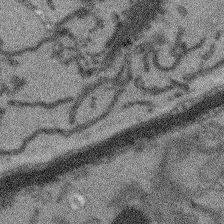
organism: Arabidopsis thaliana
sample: Root tip